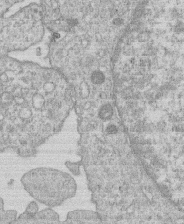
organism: Human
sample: Macrophage cells